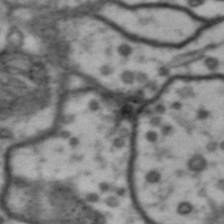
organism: Drosophila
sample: Brain